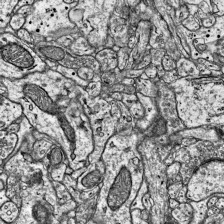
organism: Mouse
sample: Visual Cortex